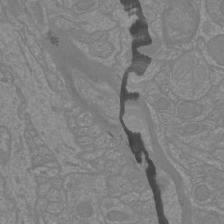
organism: Mouse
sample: Cortical neurons